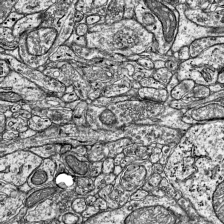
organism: Mouse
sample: Visual Cortex